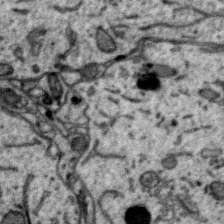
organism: Zebra finch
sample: Brain